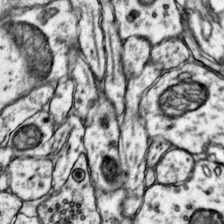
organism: Mouse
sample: Primary visual cortex